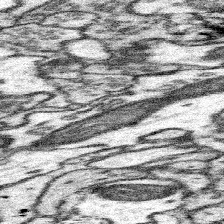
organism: Mouse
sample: Somatosensory cortex neuropil